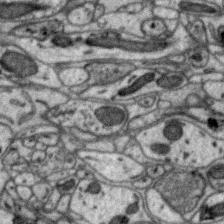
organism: Zebra finch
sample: Brain